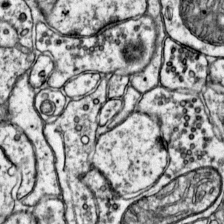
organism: Mouse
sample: Primary visual cortex